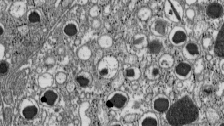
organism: C57BL Mouse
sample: Pancreatic islet